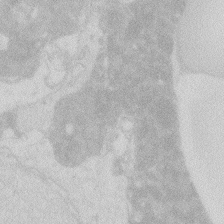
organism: Zebrafish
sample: Macrophage